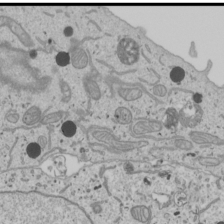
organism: Human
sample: Mitochondria in U2OS cells